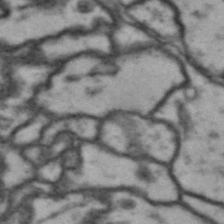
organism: Drosophila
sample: Brain